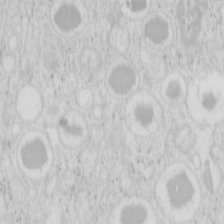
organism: Mouse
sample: Pancreas